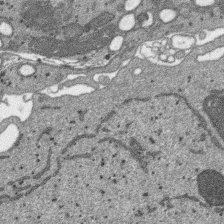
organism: Human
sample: Lung epithelial cells infected with SARS-CoV-2